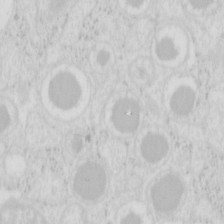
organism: Mouse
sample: Pancreas